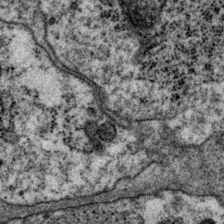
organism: P. pacificus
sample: Pharynx